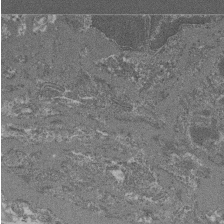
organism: Mouse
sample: Glomerulus